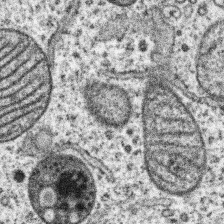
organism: Human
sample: HeLa cells